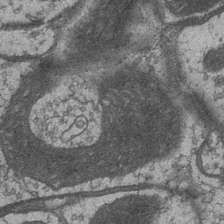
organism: Drosophila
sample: Optic medulla